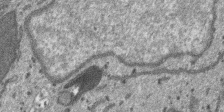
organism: Human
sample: Lung epithelial cells infected with SARS-CoV-2